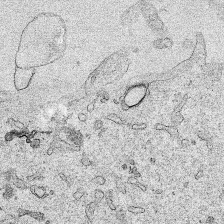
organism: Human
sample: Mitochondria in HCT116 cells